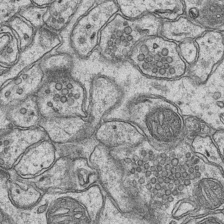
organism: Mouse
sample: CA1 Hippocampus